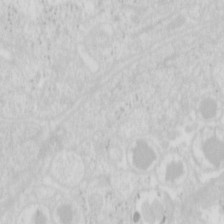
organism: Mouse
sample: Pancreas